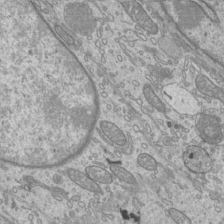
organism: Mouse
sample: Cilia; mouse epididymis